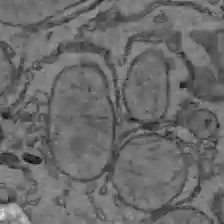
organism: C57BL Mouse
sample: Liver